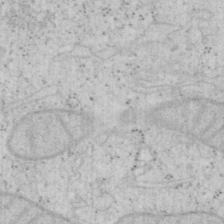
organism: Human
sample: HeLa cells